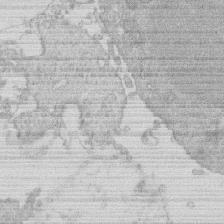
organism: Human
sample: Macrophage cells